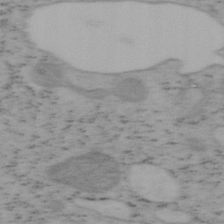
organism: Mouse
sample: OT-I killer T cells with ID8 ovarian cancer cells